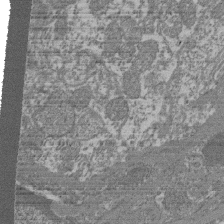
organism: Mouse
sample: Glomerulus